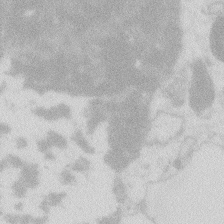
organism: Zebrafish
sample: Macrophage